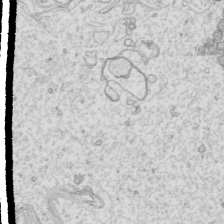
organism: Mouse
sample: Cilia; mouse epididymis